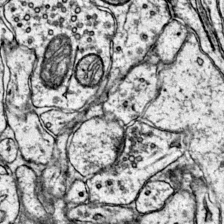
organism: Mouse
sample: Primary visual cortex